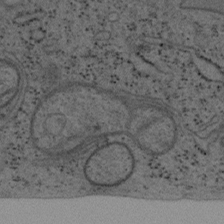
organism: Human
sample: HeLa cells